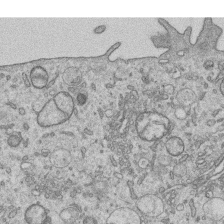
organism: Human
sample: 1205lu cells